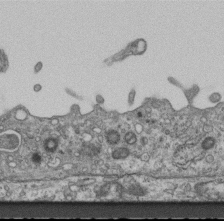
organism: Mouse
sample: Centriole in ependymal cells